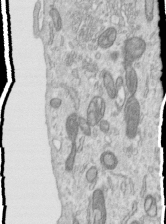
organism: Human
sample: Centriole in RPE cells